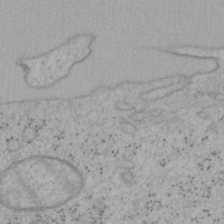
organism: Human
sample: HeLa cells